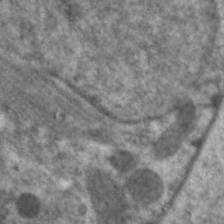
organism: C. elegans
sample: Pharynx